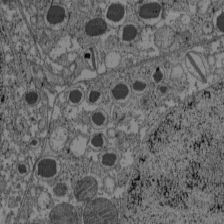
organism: C57BL Mouse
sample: Pancreatic islet